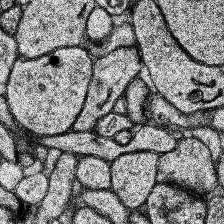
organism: Human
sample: Temporal Lobe